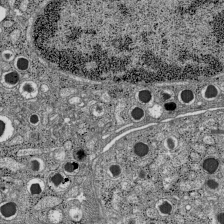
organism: C57BL Mouse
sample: Pancreatic islet